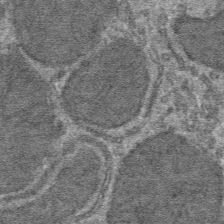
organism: Mouse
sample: Mouse hepatocytes